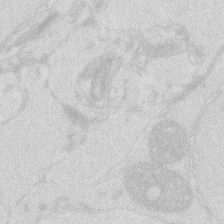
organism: Zebrafish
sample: Macrophage